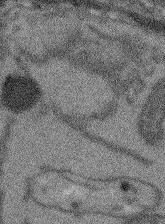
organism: Arabidopsis thaliana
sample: Root tip